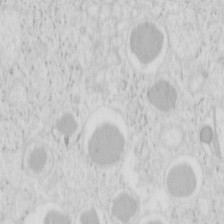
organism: Mouse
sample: Pancreas